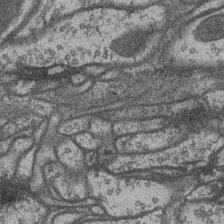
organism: Drosophila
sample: Optic medulla